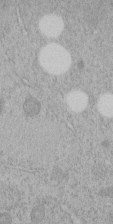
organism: C. elegans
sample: C. elegans embryo early stage